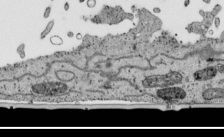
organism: Human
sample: Mitochondria in HCT116 cells